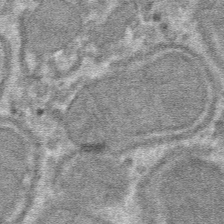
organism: Mouse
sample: Mouse hepatocytes